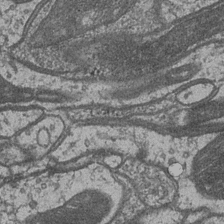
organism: Drosophila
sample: Optic medulla